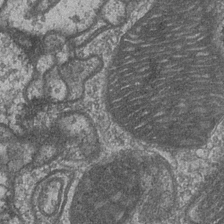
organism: Drosophila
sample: Optic medulla